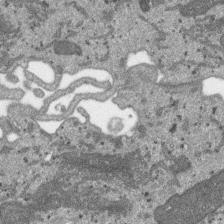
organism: Human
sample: Lung epithelial cells infected with SARS-CoV-2